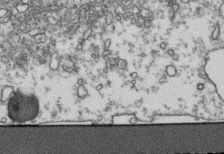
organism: Human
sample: Activated Jurkat CD4+ T cells